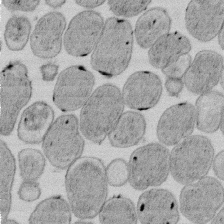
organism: E. coli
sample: Bacterial nucleoid